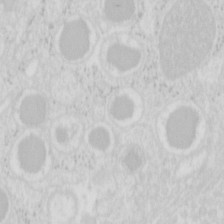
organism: Mouse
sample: Pancreas